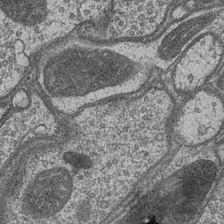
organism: Drosophila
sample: Optic medulla